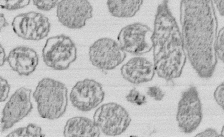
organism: E. coli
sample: Bacterial nucleoid